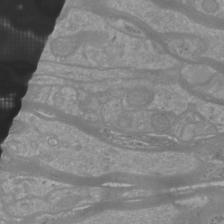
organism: Mouse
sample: Cortical neurons